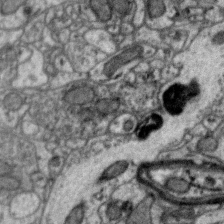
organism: Zebra finch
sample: Brain